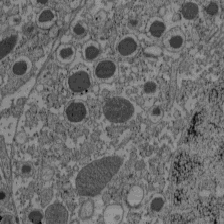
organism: C57BL Mouse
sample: Pancreatic islet